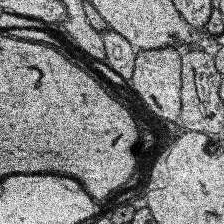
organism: Human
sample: Temporal Lobe